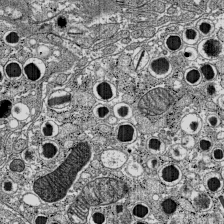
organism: C57BL Mouse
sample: Pancreatic islet